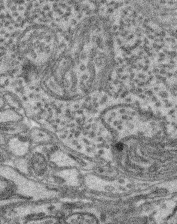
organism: Mouse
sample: Retina